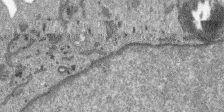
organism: Human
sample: Lung epithelial cells infected with SARS-CoV-2